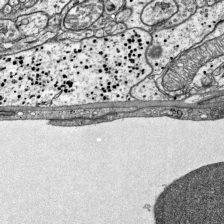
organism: Mouse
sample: Visual Cortex